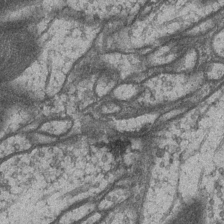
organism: Drosophila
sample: Optic medulla